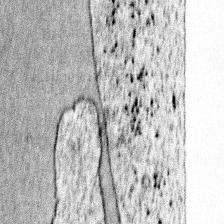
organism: Human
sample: HeLa cells